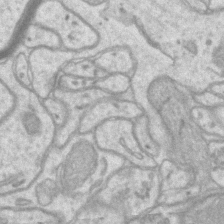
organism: Mouse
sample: CA1 Hippocampus